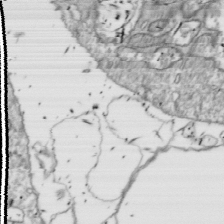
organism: Drosophila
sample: Cell division; meiosis; drosophila spermatocytes